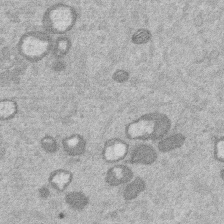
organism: Mouse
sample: Dividing mouse embryo 1 cell stage